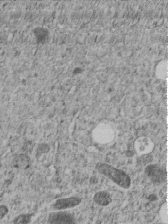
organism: C. elegans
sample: C. elegans embryo early stage